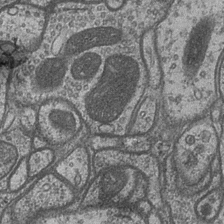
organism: Drosophila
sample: Optic medulla